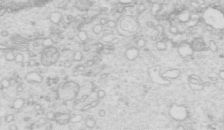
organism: Mouse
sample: Multiciliated cells